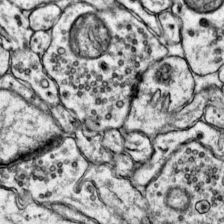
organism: Mouse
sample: Primary visual cortex